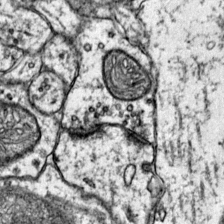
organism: Mouse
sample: Primary visual cortex